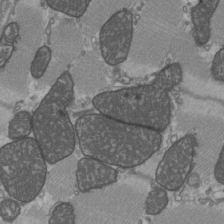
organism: C57BL Mouse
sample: Heart